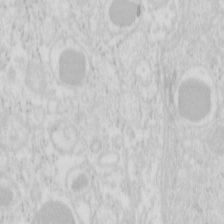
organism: Mouse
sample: Pancreas